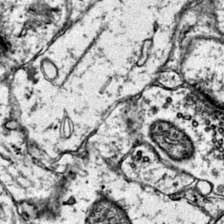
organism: Mouse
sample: Primary visual cortex